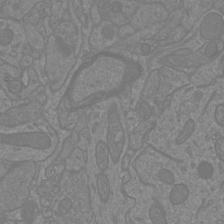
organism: Mouse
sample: Cortical neurons